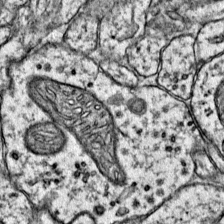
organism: Mouse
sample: Primary visual cortex